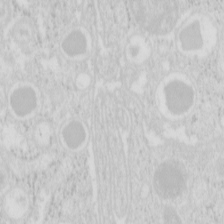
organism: Mouse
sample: Pancreas